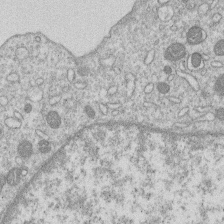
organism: Human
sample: Macrophage cells